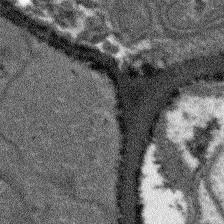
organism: Arabidopsis thaliana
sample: Root tip